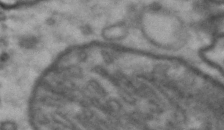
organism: Drosophila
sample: Brain